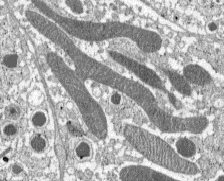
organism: C57BL Mouse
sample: Pancreatic islet